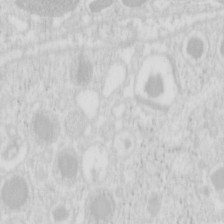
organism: Mouse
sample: Pancreas